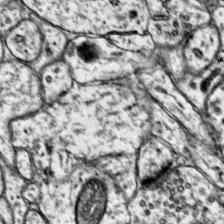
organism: Mouse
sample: Primary visual cortex